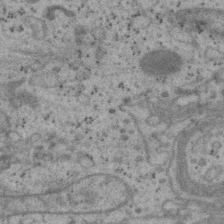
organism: Human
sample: HeLa cells